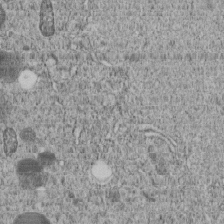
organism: C. elegans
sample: C. elegans embryo early stage